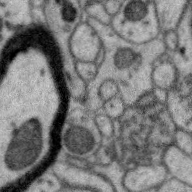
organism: Zebra finch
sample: Brain